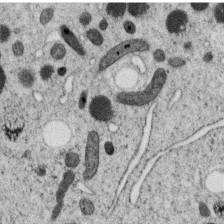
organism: C. elegans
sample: C. elegans oocyte; sperm cells